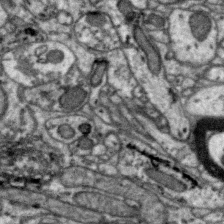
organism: Zebra finch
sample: Brain